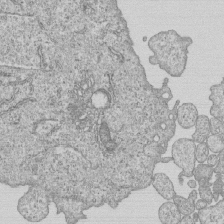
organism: Human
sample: MDA-MB-231 cells